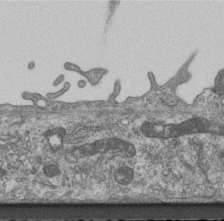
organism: Mouse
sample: Centriole in ependymal cells